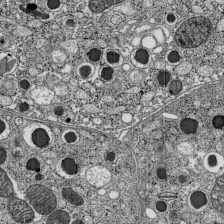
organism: C57BL Mouse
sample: Pancreatic islet